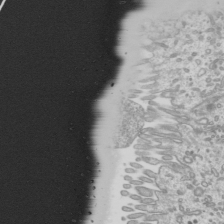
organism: Mouse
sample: Cilia; mouse epididymis